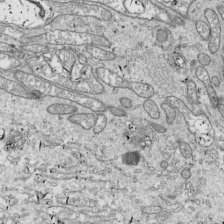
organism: Drosophila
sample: Cell division; meiosis; drosophila spermatocytes